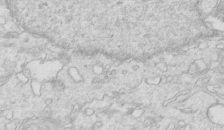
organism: Mouse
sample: Multiciliated cells